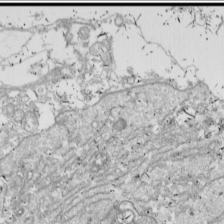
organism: Drosophila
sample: Cell division; meiosis; drosophila spermatocytes